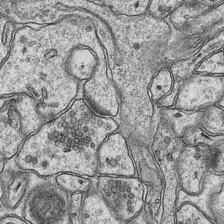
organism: Mouse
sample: CA1 Hippocampus